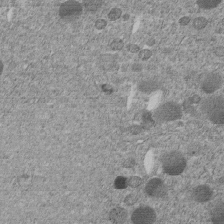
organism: C. elegans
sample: C. elegans embryo early stage